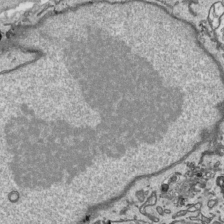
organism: Human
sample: Mitochondria in HCT116 cells